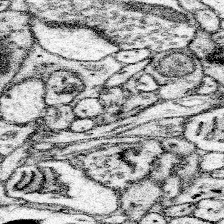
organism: Mouse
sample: Somatosensory cortex neuropil